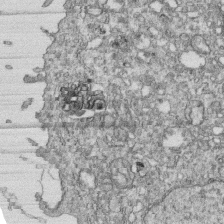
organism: Human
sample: HeLa cell HIV synapse